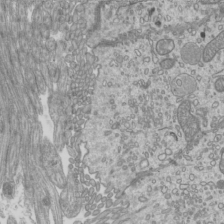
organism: Mouse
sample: Cilia; mouse epididymis